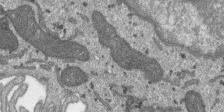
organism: Human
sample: Lung epithelial cells infected with SARS-CoV-2